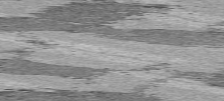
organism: C57BL Mouse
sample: Heart